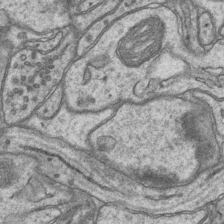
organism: Mouse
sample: CA1 Hippocampus